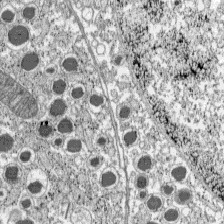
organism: C57BL Mouse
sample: Pancreatic islet